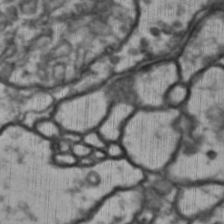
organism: Drosophila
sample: Brain